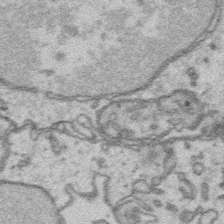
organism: Platynereis dumerilii